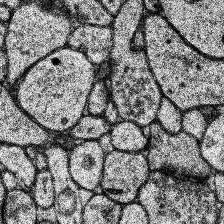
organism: Human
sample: Temporal Lobe